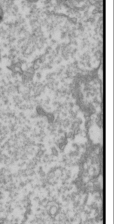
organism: Drosophila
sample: Cell division; meiosis; drosophila spermatocytes